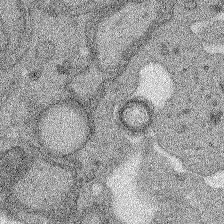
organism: Human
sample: HeLa cells